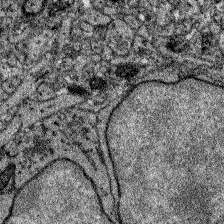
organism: Zebrafish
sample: Larval olfactory bulb